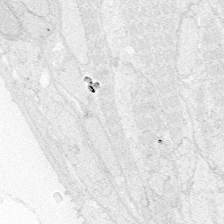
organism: Zebrafish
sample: Whole-Brain